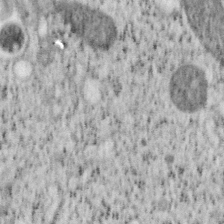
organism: Mouse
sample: OT-I killer T cells with ID8 ovarian cancer cells